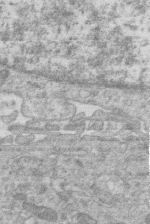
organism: Human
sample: Macrophage cells